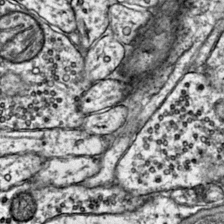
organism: Mouse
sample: Primary visual cortex